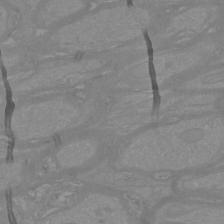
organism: Mouse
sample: Cortical neurons